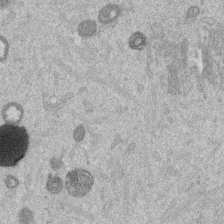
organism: Mouse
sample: Dividing mouse embryo 1 cell stage